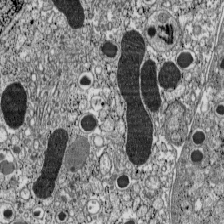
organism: C57BL Mouse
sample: Pancreatic islet